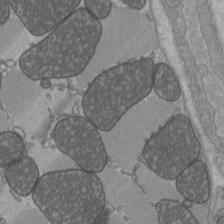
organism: C57BL Mouse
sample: Heart